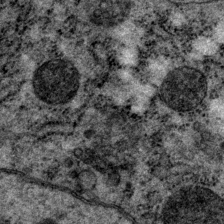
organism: P. pacificus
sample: Pharynx